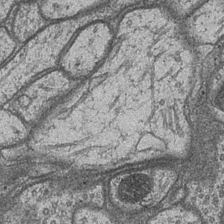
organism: Drosophila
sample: Optic medulla